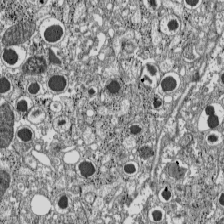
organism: C57BL Mouse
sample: Pancreatic islet